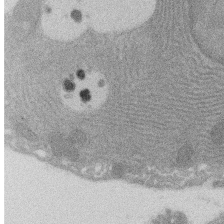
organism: Rat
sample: Salivary granule